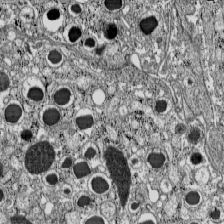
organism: C57BL Mouse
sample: Pancreatic islet